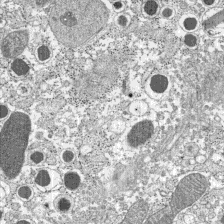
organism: C57BL Mouse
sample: Pancreatic islet